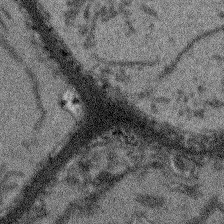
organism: Arabidopsis thaliana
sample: Root tip